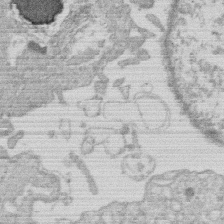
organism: Human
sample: Macrophage cells